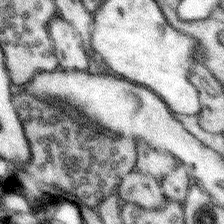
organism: Mouse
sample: Somatosensory cortex neuropil